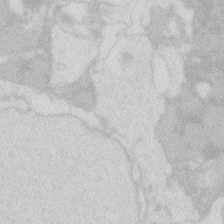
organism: Zebrafish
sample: Macrophage